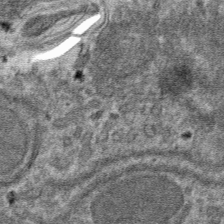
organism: Mouse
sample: Mouse hepatocytes